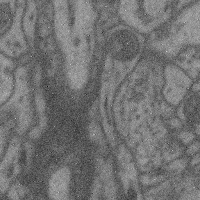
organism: Mouse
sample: Cerebral cortex